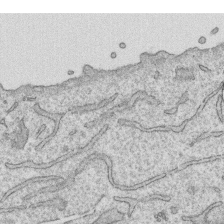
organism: Human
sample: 1205lu cells